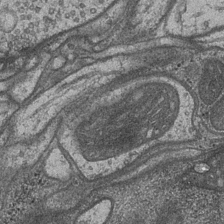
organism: Drosophila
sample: Optic medulla